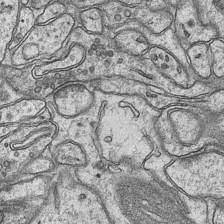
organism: Mouse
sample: CA1 Hippocampus